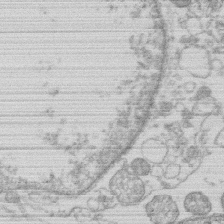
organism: Human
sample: Macrophage cells